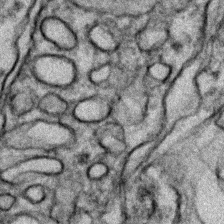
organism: Zebrafish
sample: Zebrafish embryo